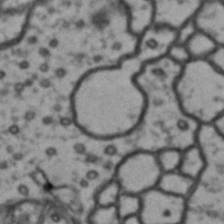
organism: Drosophila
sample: Brain